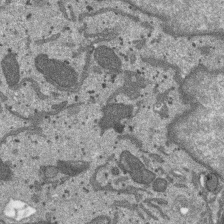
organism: Human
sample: Lung epithelial cells infected with SARS-CoV-2